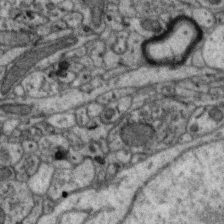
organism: Zebra finch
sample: Brain